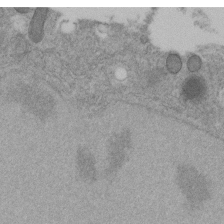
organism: C. elegans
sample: C. elegans embryo early stage